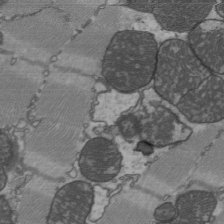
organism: C57BL Mouse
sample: Heart